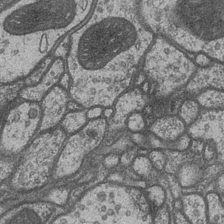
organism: Drosophila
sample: Optic medulla